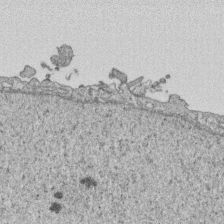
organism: Human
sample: HeLa cell HIV synapse